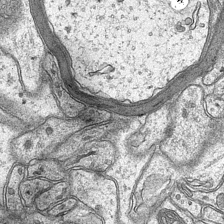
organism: Mouse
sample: CA1 Hippocampus